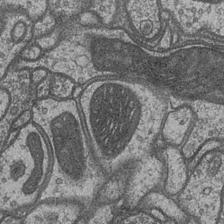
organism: Drosophila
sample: Optic medulla